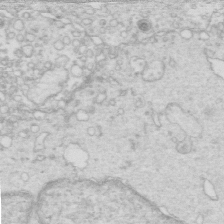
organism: Mouse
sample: Multiciliated cells